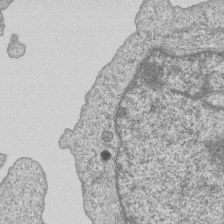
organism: Human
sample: MDA-MB-231 cells